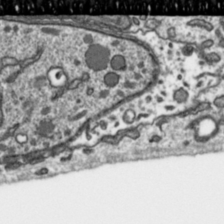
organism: Toxoplasma gondii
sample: Parasites in a vacuole inside a host cell